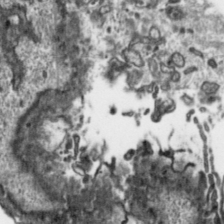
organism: Toxoplasma gondii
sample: Parasites in a vacuole inside a host cell